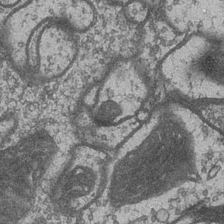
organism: Drosophila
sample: Optic medulla